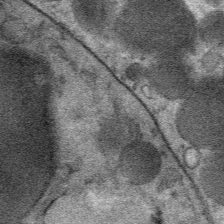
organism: Mouse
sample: Mouse Salivary gland